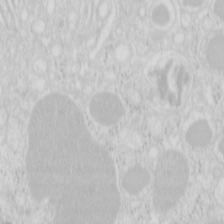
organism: Mouse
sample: Pancreas